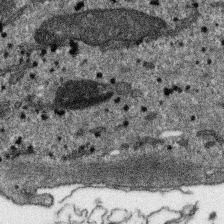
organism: Human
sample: Lung epithelial cells infected with SARS-CoV-2